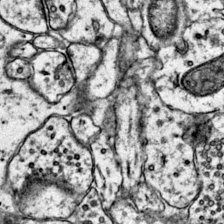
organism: Mouse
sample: Primary visual cortex